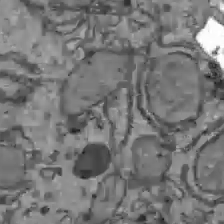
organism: C57BL Mouse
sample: Liver